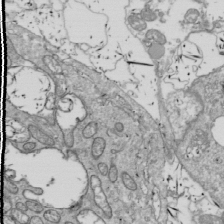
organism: Drosophila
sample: Cell division; meiosis; drosophila spermatocytes